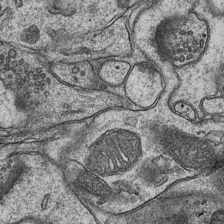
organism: Mouse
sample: CA1 Hippocampus